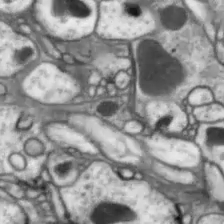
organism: Drosophila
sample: Optic lobe